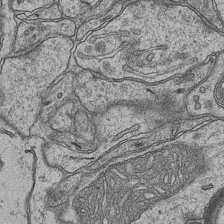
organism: Mouse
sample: CA1 Hippocampus